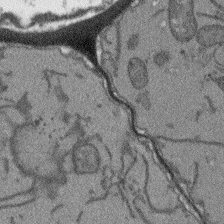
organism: Arabidopsis thaliana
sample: Root tip